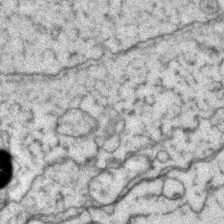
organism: Zebrafish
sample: Zebrafish embryo